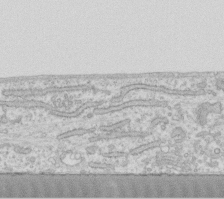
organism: Human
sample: Fibroblast cells